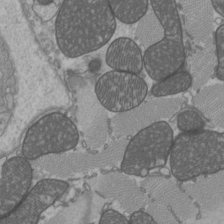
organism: C57BL Mouse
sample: Heart